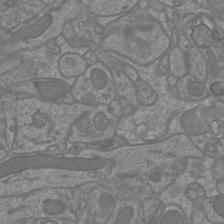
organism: Mouse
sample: Cortical neurons